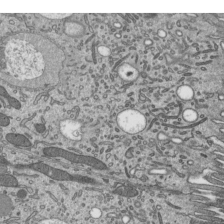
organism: Mouse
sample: Mouse epididymis efferent ductule cilia